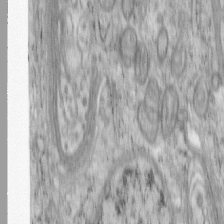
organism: Human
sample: HeLa cells